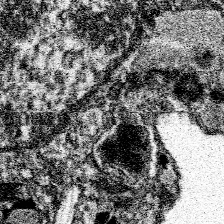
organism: Spongilla lacustris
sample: Neuroid cell